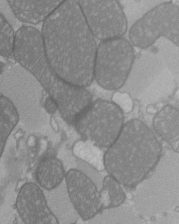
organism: C57BL Mouse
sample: Heart